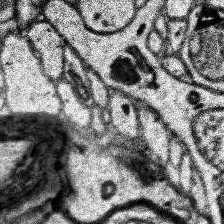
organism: Human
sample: Temporal Lobe